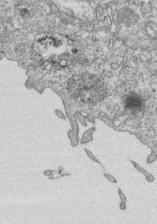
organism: Human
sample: HeLa cell HIV synapse